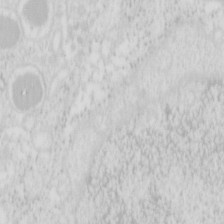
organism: Mouse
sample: Pancreas